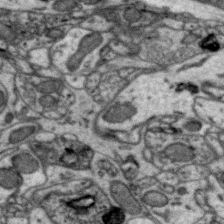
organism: Zebra finch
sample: Brain